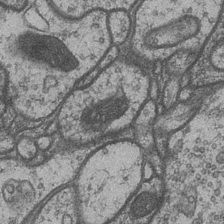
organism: Drosophila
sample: Optic medulla